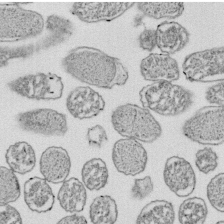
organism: E. coli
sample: Bacterial nucleoid